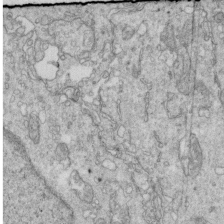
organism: Mouse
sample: Multiciliated cells